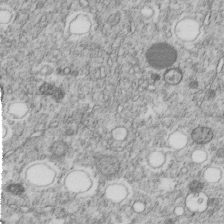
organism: C. elegans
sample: C. elegans embryo early stage